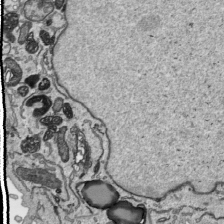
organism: Human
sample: Mitochondria in HCT116 cells